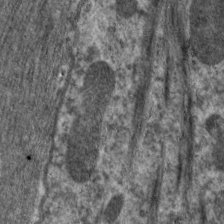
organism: C. elegans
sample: Pharynx